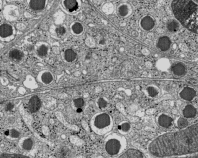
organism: C57BL Mouse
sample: Pancreatic islet